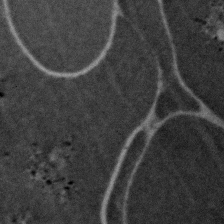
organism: Zebrafish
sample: Zebrafish embryo